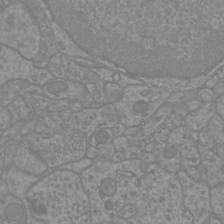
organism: Mouse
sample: Cortical neurons